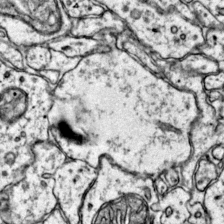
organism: Mouse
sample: Primary visual cortex